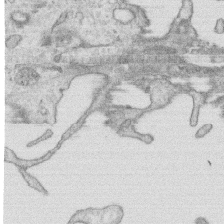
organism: Human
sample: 1205lu cells